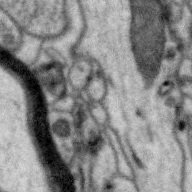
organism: Zebra finch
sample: Brain